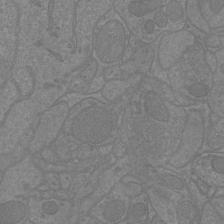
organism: Mouse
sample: Cortical neurons